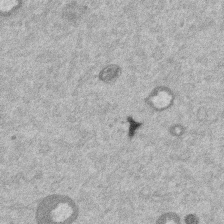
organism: Mouse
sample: Dividing mouse embryo 1 cell stage